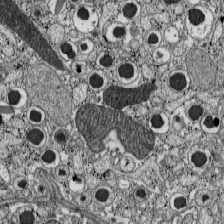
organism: C57BL Mouse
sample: Pancreatic islet